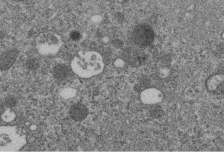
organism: C. elegans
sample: C. elegans embryo early stage